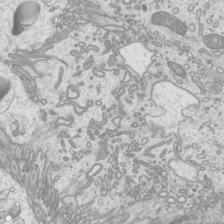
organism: Mouse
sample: Cilia; mouse epididymis